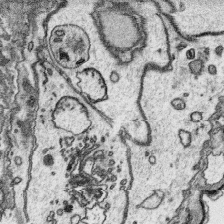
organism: Platynereis dumerilii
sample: Parapodia